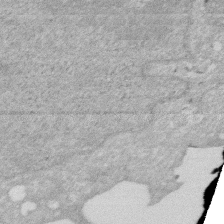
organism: Human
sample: HIV infected U937 cells